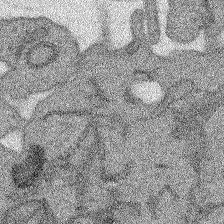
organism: Human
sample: HeLa cells